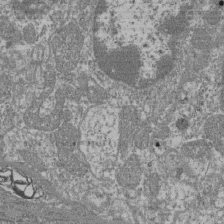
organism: Mouse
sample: Glomerulus